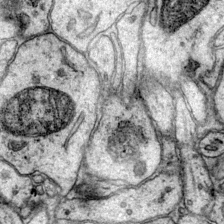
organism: Mouse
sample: Primary visual cortex